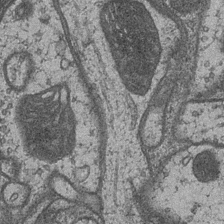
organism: Drosophila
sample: Optic medulla